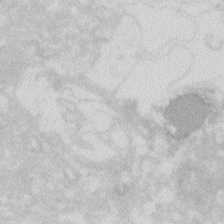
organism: Zebrafish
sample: Macrophage